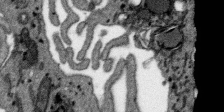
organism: Human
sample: Lung epithelial cells, uninfected (mock) control